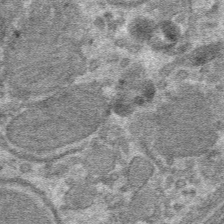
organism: Mouse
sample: Mouse hepatocytes